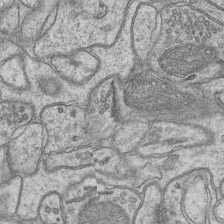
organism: Mouse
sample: CA1 Hippocampus